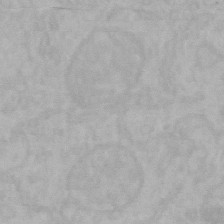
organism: Mouse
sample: Choroid plexus